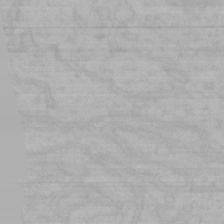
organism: Mouse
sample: Choroid plexus